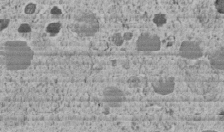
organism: C. elegans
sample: C. elegans embryo early stage